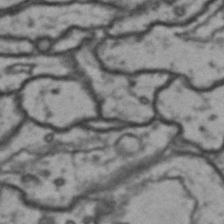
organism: Drosophila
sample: Brain